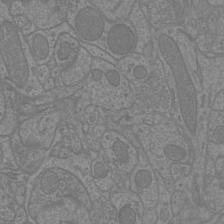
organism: Mouse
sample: Cortical neurons